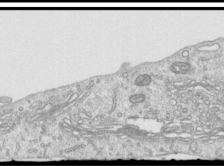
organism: Human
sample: Centriole in RPE cells